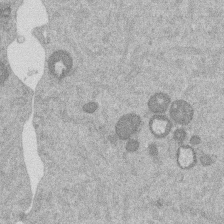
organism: Mouse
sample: Dividing mouse embryo 1 cell stage